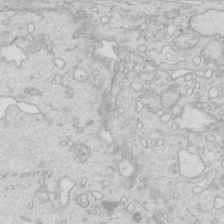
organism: Mouse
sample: Multiciliated cells